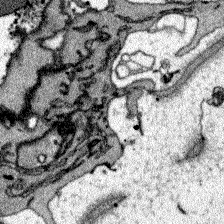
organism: Zebrafish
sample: Larval olfactory bulb